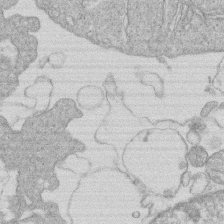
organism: Human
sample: Macrophage cells